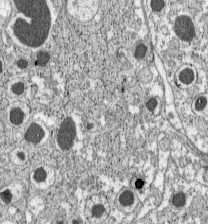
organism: C57BL Mouse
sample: Pancreatic islet